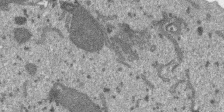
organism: Human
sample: Lung epithelial cells infected with SARS-CoV-2